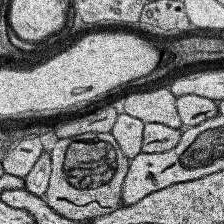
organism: Human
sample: Temporal Lobe